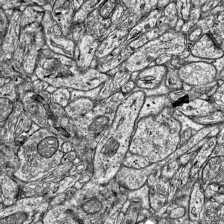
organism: Mouse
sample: Visual Cortex